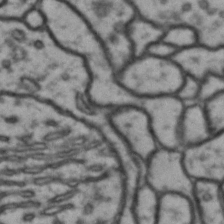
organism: Drosophila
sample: Brain